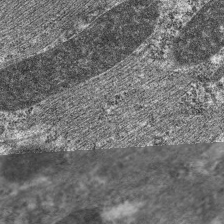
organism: C. elegans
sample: Pharynx